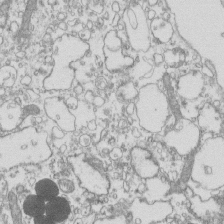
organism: Mouse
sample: Macrophages